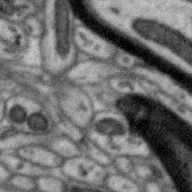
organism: Zebra finch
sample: Brain